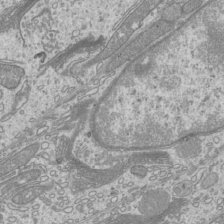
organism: Mouse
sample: Cilia; mouse epididymis